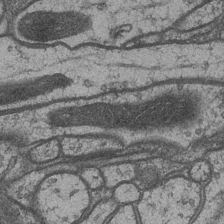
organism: Drosophila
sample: Optic medulla